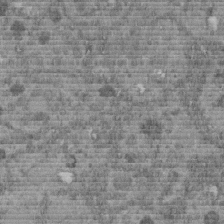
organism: C. elegans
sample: C. elegans embryo early stage